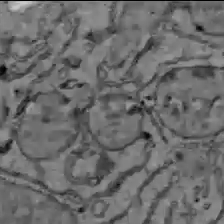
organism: C57BL Mouse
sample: Liver